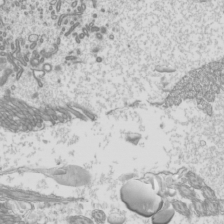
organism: Mouse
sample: Cilia; mouse epididymis